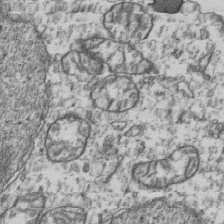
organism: Human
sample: Activated Jurkat CD4+ T cells